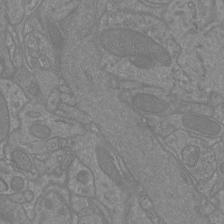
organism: Mouse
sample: Cortical neurons